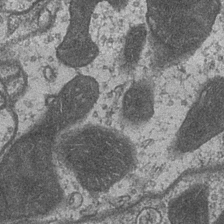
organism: Drosophila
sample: Optic medulla